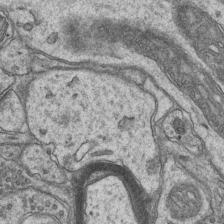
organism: Mouse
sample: CA1 Hippocampus